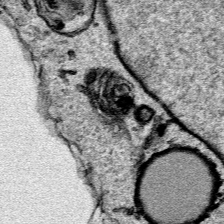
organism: Human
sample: Mitochondria in HCT116 cells